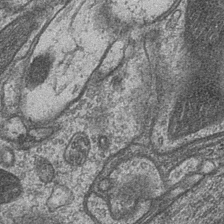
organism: Drosophila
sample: Optic medulla